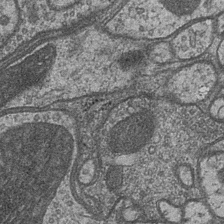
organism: Drosophila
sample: Optic medulla